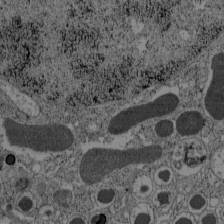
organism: C57BL Mouse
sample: Pancreatic islet